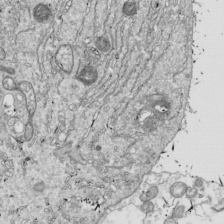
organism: Drosophila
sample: Cell division; meiosis; drosophila spermatocytes